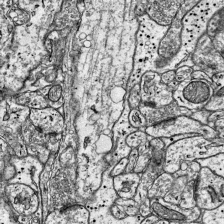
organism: Mouse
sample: Visual Cortex